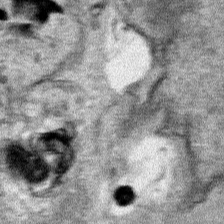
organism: Human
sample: Mitochondria in HCT116 cells